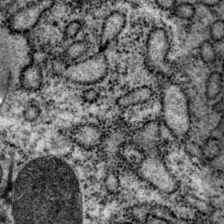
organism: P. pacificus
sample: Pharynx